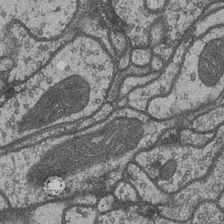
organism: Drosophila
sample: Optic medulla